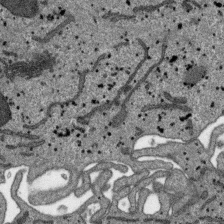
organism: Human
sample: Lung epithelial cells, uninfected (mock) control